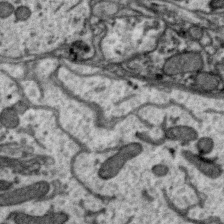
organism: Zebra finch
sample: Brain